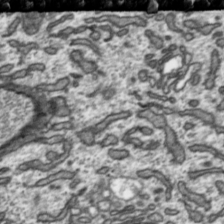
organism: Toxoplasma gondii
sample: Parasites in a vacuole inside a host cell